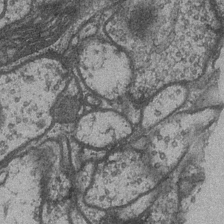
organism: Drosophila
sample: Optic medulla